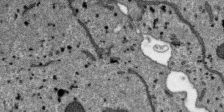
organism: Human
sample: Lung epithelial cells, uninfected (mock) control